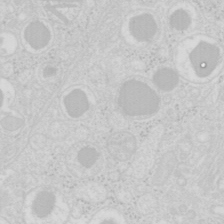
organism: Mouse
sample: Pancreas